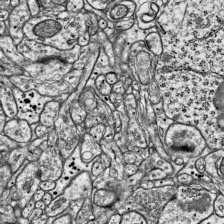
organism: Mouse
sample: Visual Cortex